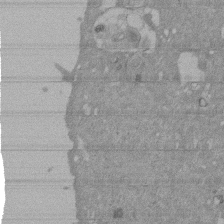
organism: Mouse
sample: ED-1 cell nuclei; centrioles